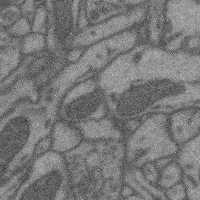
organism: Mouse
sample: Cerebral cortex